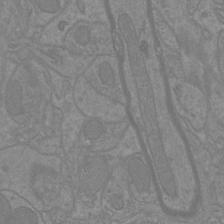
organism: Mouse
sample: Cortical neurons